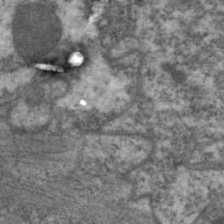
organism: C. elegans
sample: Pharynx